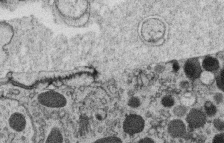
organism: C. elegans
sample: C. elegans oocyte; sperm cells